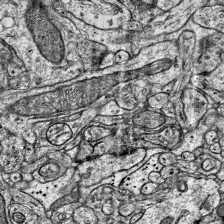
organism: Mouse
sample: Visual Cortex